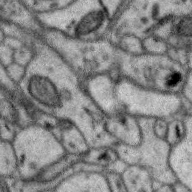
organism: Zebra finch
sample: Brain